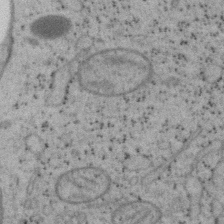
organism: Human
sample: HeLa cells